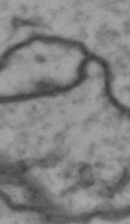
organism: Drosophila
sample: Brain